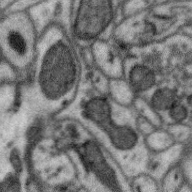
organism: Zebra finch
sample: Brain